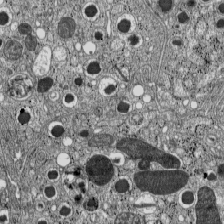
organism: C57BL Mouse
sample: Pancreatic islet